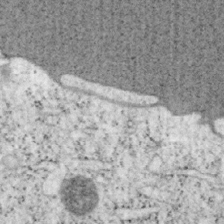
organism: Mouse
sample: OT-I killer T cells with ID8 ovarian cancer cells